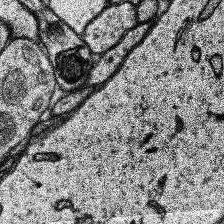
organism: Human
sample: Temporal Lobe